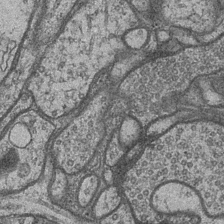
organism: Drosophila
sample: Optic medulla